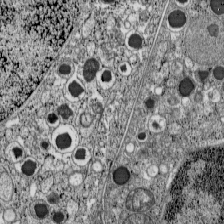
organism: C57BL Mouse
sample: Pancreatic islet